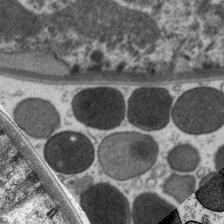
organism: C. elegans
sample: Pharynx